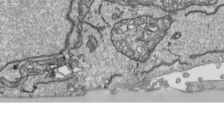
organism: Human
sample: Mitochondria in HCT116 cells